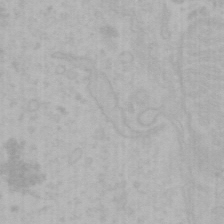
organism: Mouse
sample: Choroid plexus